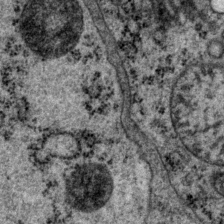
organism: P. pacificus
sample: Pharynx